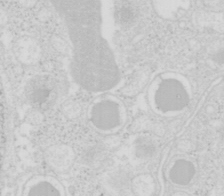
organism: Mouse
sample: Pancreas